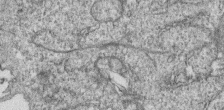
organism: Human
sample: HeLa cell HIV synapse